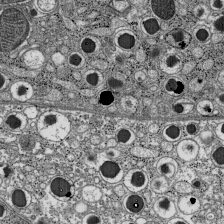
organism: C57BL Mouse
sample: Pancreatic islet